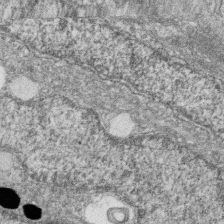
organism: Zebrafish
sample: Cilia; retinal pigment epithelium